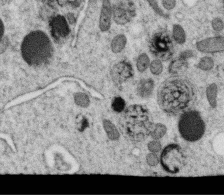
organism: C. elegans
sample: C. elegans oocyte; sperm cells